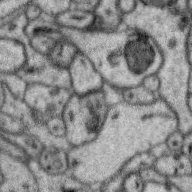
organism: Zebra finch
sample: Brain